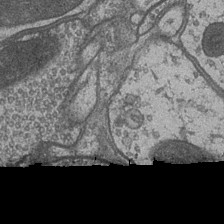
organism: Drosophila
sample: Optic medulla